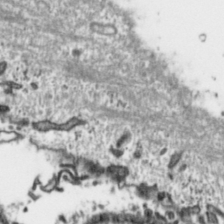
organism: Toxoplasma gondii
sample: Parasites in a vacuole inside a host cell